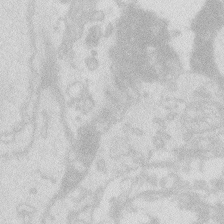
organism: Zebrafish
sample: Macrophage